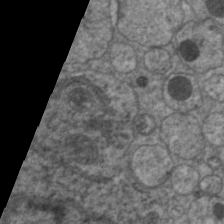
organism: C. elegans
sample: Pharynx